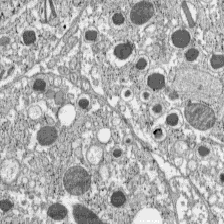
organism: C57BL Mouse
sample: Pancreatic islet